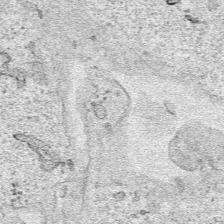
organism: Human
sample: Mitochondria in HCT116 cells